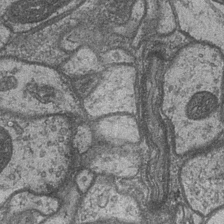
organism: Drosophila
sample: Optic medulla